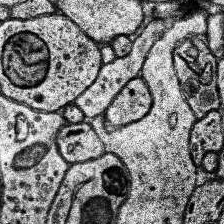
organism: Human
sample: Temporal Lobe